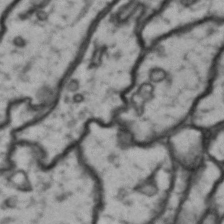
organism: Drosophila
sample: Brain